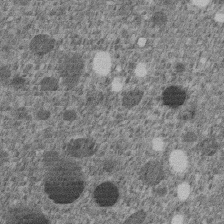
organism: C. elegans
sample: C. elegans embryo early stage